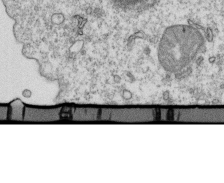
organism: Mouse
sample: Activated OT-1 CD8+ T cells